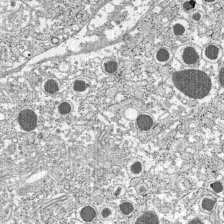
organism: C57BL Mouse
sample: Pancreatic islet